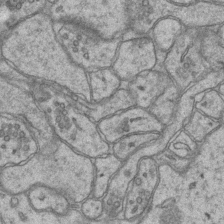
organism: Mouse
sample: CA1 Hippocampus